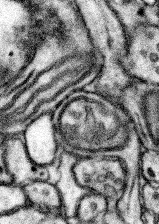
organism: Mouse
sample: Somatosensory cortex neuropil